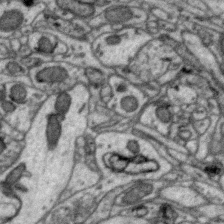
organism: Zebra finch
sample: Brain